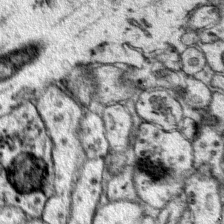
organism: Mouse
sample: Primary visual cortex